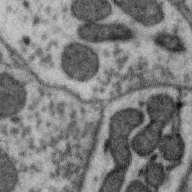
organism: Zebra finch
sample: Brain